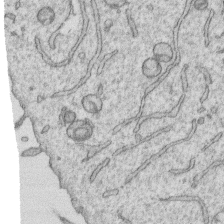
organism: Human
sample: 1205lu cells